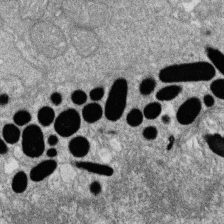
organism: Zebrafish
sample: Cilia; retinal pigment epithelium